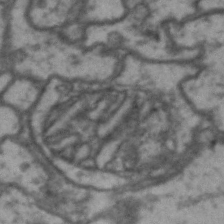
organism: Drosophila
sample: Brain